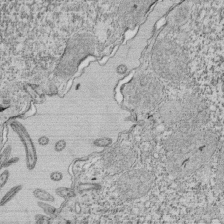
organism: Tetrahymena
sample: Cilia in tetrahymena